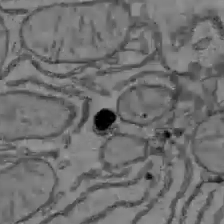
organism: C57BL Mouse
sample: Liver